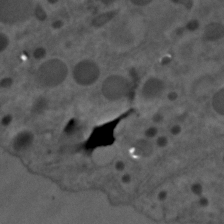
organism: C. elegans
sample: C. elegans embryo